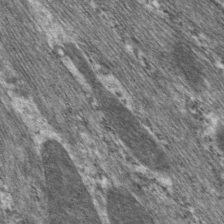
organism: C. elegans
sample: Pharynx